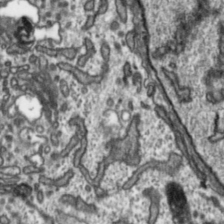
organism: Toxoplasma gondii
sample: Parasites in a vacuole inside a host cell